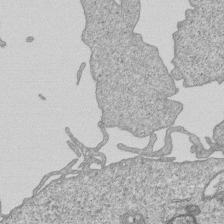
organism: Human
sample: MDA-MB-231 cells